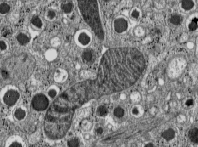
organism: C57BL Mouse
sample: Pancreatic islet